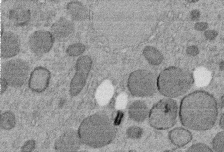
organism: C. elegans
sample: C. elegans embryo early stage